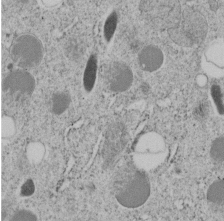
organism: C. elegans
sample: C. elegans embryo early stage